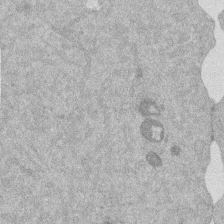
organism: Mouse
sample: Dividing mouse embryo 1 cell stage